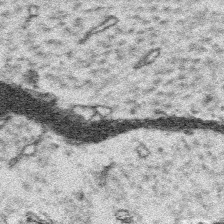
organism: Platynereis dumerilii